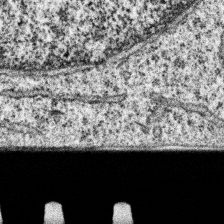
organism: Human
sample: HeLa cells